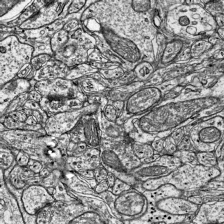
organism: Mouse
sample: Visual Cortex